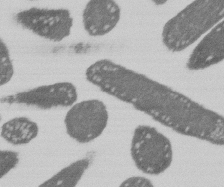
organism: E. coli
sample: Bacterial nucleoid